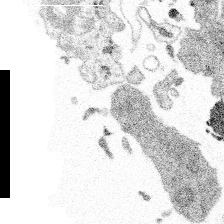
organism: Spongilla lacustris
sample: Multiple